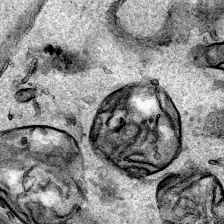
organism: Human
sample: Mitochondria in HCT116 cells